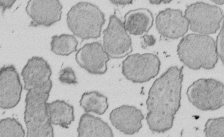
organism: E. coli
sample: Bacterial nucleoid